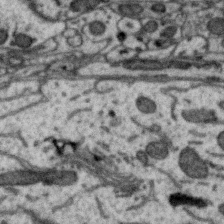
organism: Zebra finch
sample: Brain